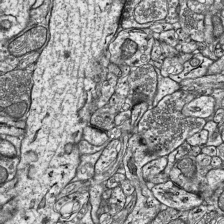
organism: Mouse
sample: Visual Cortex